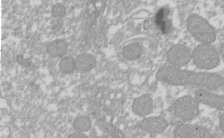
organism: Xenopus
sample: Cilia; centrioles in frog embryo cells